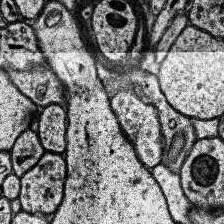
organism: Human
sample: Temporal Lobe